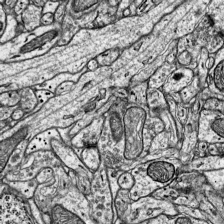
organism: Mouse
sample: Visual Cortex